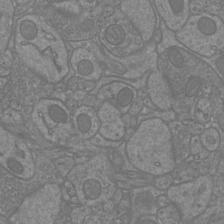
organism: Mouse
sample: Cortical neurons